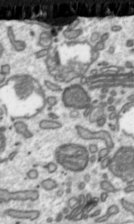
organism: Toxoplasma gondii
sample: Parasites in a vacuole inside a host cell